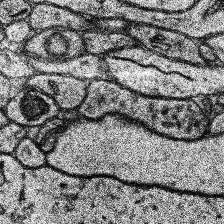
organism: Human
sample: Temporal Lobe